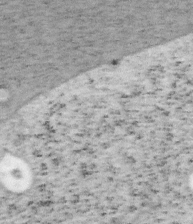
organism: Mouse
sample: OT-I killer T cells with ID8 ovarian cancer cells